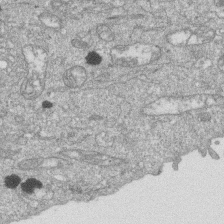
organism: Human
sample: HeLa cell HIV synapse